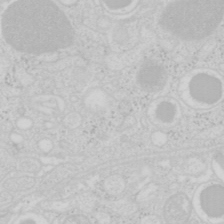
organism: Mouse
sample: Pancreas